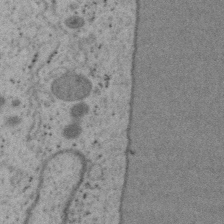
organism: Human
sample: HeLa cells